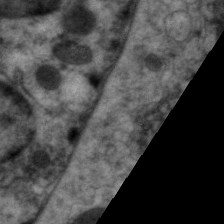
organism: C. elegans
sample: Pharynx